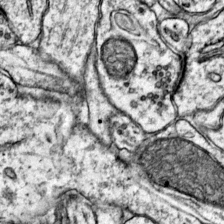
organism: Mouse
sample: Primary visual cortex